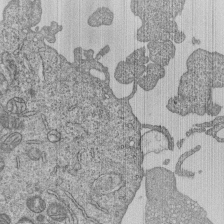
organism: Human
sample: MDA-MB-231 cells